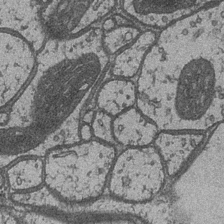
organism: Drosophila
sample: Optic medulla